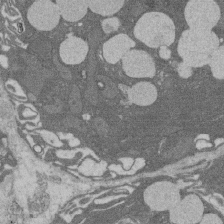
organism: Rat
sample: Salivary granule